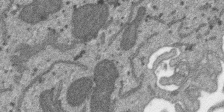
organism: Human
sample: Lung epithelial cells infected with SARS-CoV-2